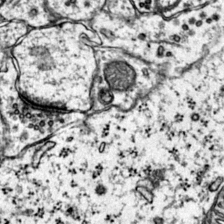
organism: Mouse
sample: Primary visual cortex